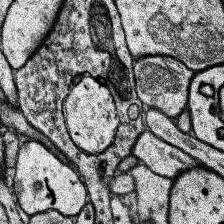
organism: Human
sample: Temporal Lobe